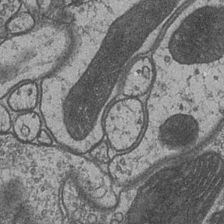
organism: Drosophila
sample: Optic medulla